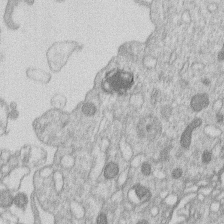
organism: Human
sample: Macrophage cells